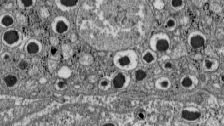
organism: C57BL Mouse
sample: Pancreatic islet